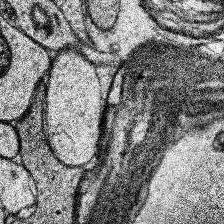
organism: Human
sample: Temporal Lobe